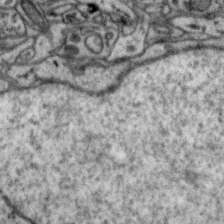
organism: Zebra finch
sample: Brain